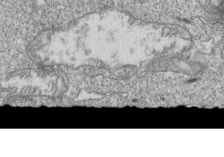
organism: Human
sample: HeLa cell HIV synapse